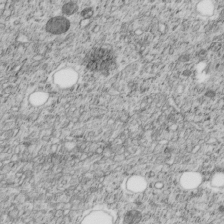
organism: C. elegans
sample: C. elegans embryo early stage